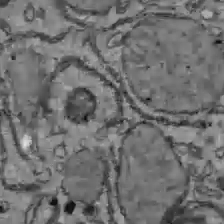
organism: C57BL Mouse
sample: Liver